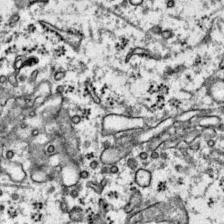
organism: Mouse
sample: Primary visual cortex